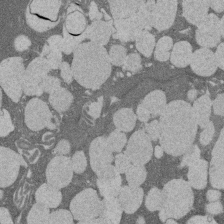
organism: Rat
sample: Salivary granule